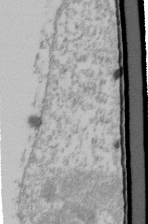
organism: Human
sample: U2-OS cells